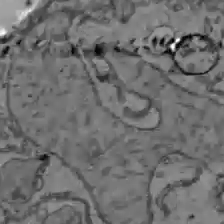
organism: C57BL Mouse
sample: Liver